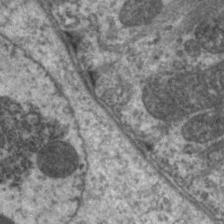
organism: C. elegans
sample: Pharynx